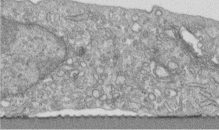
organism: Human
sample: Centriole in fibroblast cells